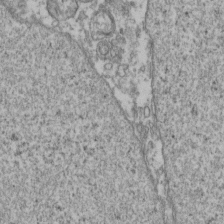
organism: Human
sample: Activated Jurkat CD4+ T cells